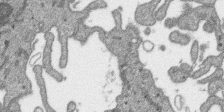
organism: Human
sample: Lung epithelial cells infected with SARS-CoV-2